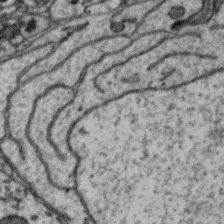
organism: Zebra finch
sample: Brain